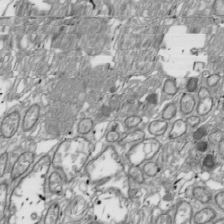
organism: Drosophila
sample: Cell division; meiosis; drosophila spermatocytes